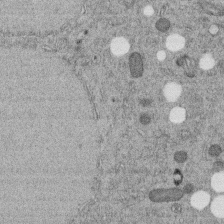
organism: C. elegans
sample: C. elegans embryo early stage